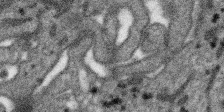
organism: Human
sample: Lung epithelial cells infected with SARS-CoV-2